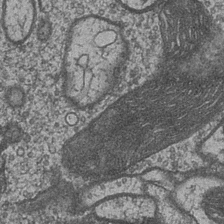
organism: Drosophila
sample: Optic medulla